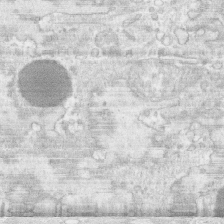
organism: Human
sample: CRL-1474